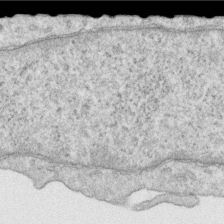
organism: Human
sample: Centriole in RPE cells